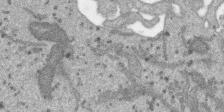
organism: Human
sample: Lung epithelial cells infected with SARS-CoV-2